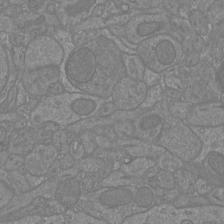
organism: Mouse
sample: Cortical neurons